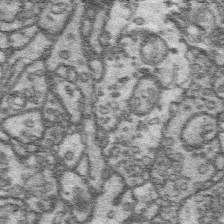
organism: Platynereis dumerilii